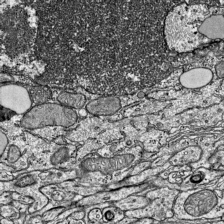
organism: Mouse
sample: Visual Cortex